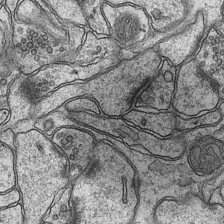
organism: Mouse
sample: CA1 Hippocampus